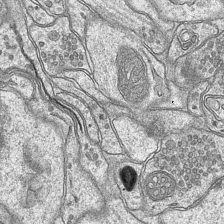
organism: Mouse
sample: CA1 Hippocampus